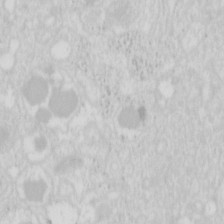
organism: Mouse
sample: Pancreas